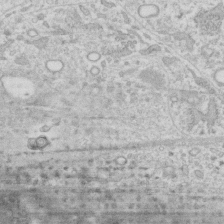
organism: Human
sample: Fibroblast cells